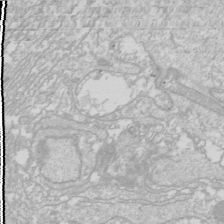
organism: Drosophila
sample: Cell division; meiosis; drosophila spermatocytes